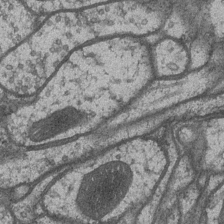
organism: Drosophila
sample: Optic medulla